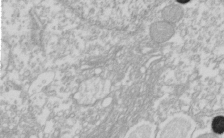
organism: Xenopus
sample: Cilia; centrioles in frog embryo cells